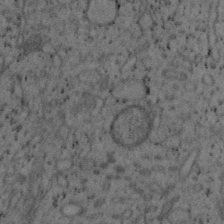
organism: Human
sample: HeLa cells